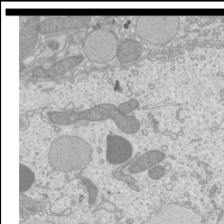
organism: Mouse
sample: Cilia; mouse epididymis